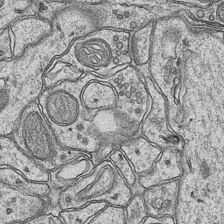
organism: Mouse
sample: CA1 Hippocampus